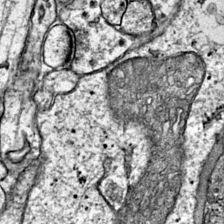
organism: Mouse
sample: Primary visual cortex